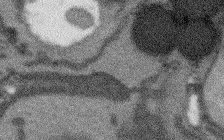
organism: Arabidopsis thaliana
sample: Root tip